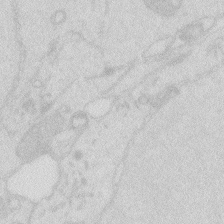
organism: Zebrafish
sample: Macrophage